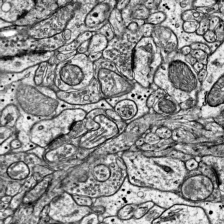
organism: Mouse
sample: Visual Cortex